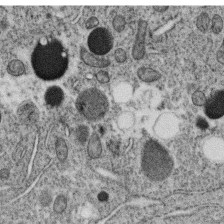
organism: C. elegans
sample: C. elegans oocyte; sperm cells